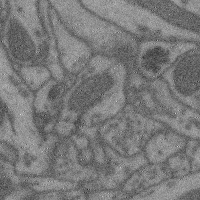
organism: Mouse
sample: Cerebral cortex